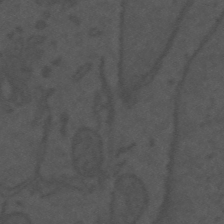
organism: Mouse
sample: Suprachiasmatic nucleus